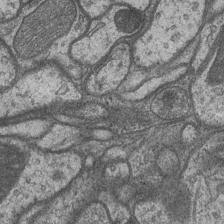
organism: Drosophila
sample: Optic medulla